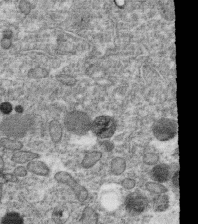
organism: C. elegans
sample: C. elegans oocyte; sperm cells